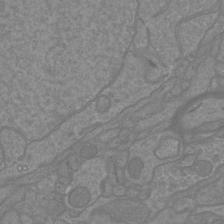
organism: Mouse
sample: Cortical neurons